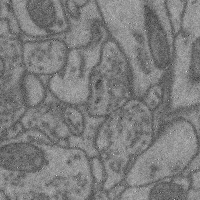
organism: Mouse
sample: Cerebral cortex